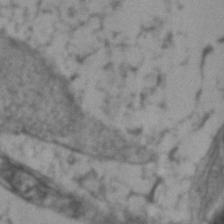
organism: Zebrafish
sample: Zebrafish embryo